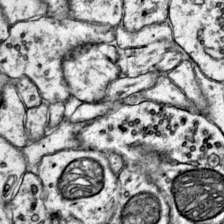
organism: Mouse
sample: Primary visual cortex